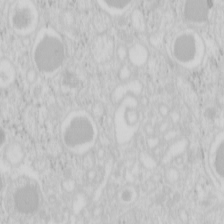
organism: Mouse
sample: Pancreas